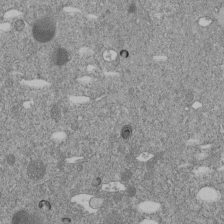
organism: C. elegans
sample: C. elegans embryo early stage